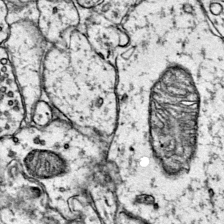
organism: Mouse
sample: Primary visual cortex